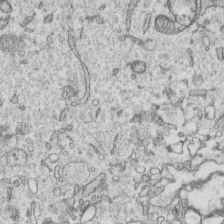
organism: Human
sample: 1205lu cells